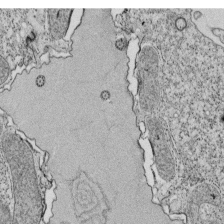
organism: Tetrahymena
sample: Cilia in tetrahymena